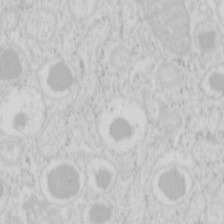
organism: Mouse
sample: Pancreas